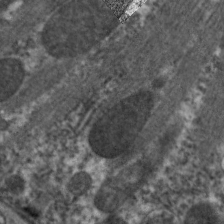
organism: C. elegans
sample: Pharynx